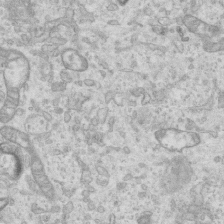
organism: Mouse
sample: Centriole in ependymal cells